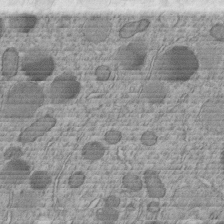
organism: C. elegans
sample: C. elegans embryo early stage